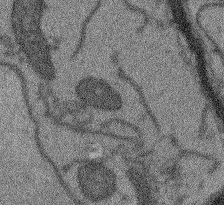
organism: Arabidopsis thaliana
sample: Root tip